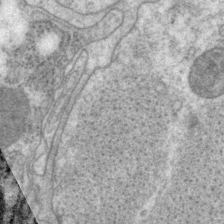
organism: P. pacificus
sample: Pharynx